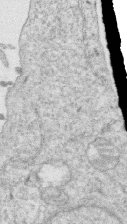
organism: Human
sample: HeLa cell HIV synapse